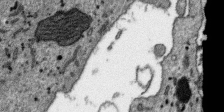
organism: Human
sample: Lung epithelial cells, uninfected (mock) control